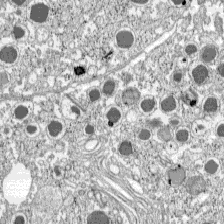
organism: C57BL Mouse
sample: Pancreatic islet